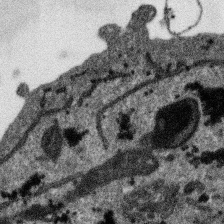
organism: Human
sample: Lung epithelial cells infected with SARS-CoV-2